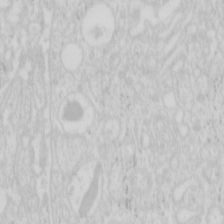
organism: Mouse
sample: Pancreas